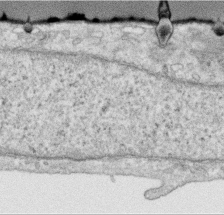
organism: Human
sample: Centriole in RPE cells